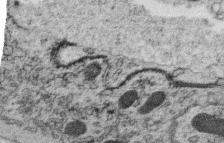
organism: C. elegans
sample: C. elegans oocyte; sperm cells